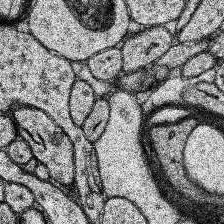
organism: Human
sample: Temporal Lobe